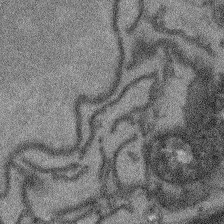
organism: Arabidopsis thaliana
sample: Root tip